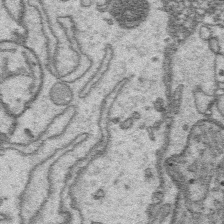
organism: Platynereis dumerilii